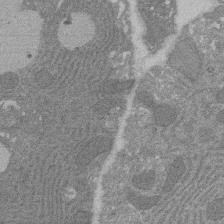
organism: Rat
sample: Salivary granule